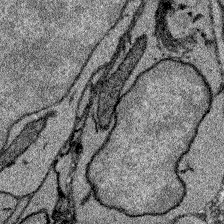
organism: Zebrafish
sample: Larval olfactory bulb